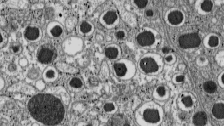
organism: C57BL Mouse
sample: Pancreatic islet